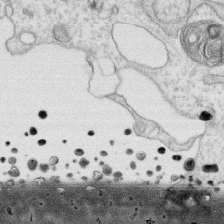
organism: Human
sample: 1205lu cells